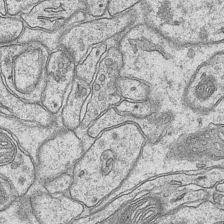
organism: Mouse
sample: CA1 Hippocampus